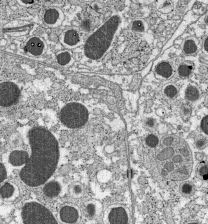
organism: C57BL Mouse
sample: Pancreatic islet